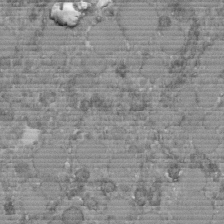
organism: C. elegans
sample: C. elegans embryo early stage